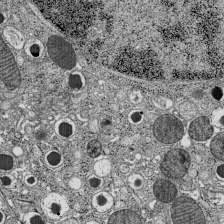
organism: C57BL Mouse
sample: Pancreatic islet